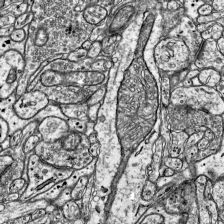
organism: Mouse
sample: Visual Cortex